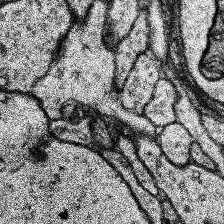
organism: Human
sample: Temporal Lobe